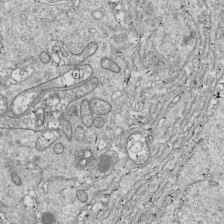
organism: Drosophila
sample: Cell division; meiosis; drosophila spermatocytes